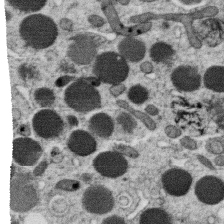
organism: C. elegans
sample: C. elegans oocyte; sperm cells